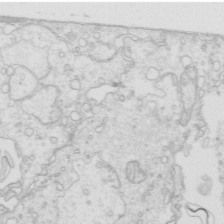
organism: Mouse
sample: Multiciliated cells